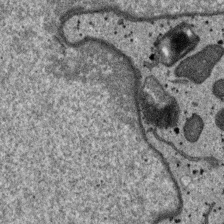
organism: Human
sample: Lung epithelial cells, uninfected (mock) control